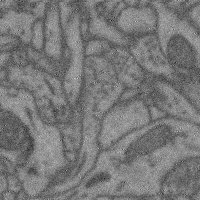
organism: Mouse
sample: Cerebral cortex